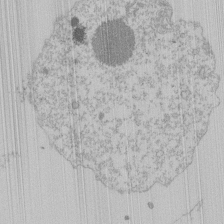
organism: Mouse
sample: Activated Pmel transgenic CD8+ T Cells